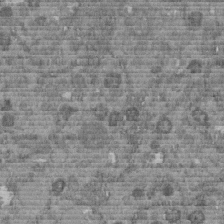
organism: C. elegans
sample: C. elegans embryo early stage